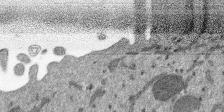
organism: Human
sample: Lung epithelial cells infected with SARS-CoV-2